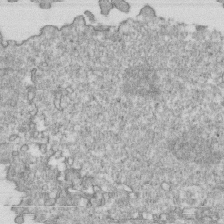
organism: Mouse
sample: Activated OT-1 CD8+ T cells